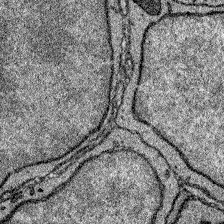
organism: Zebrafish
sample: Larval olfactory bulb